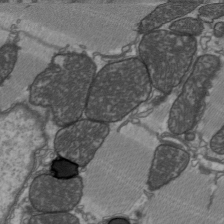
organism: C57BL Mouse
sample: Heart